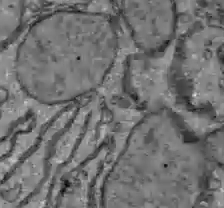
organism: C57BL Mouse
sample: Liver